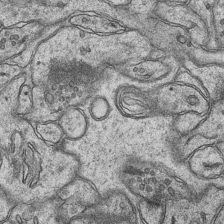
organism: Mouse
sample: CA1 Hippocampus